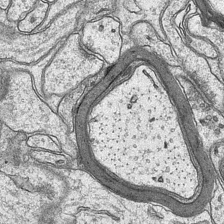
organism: Mouse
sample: CA1 Hippocampus